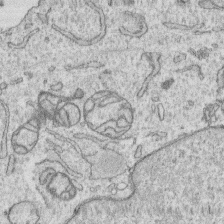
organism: Human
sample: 1205lu cells